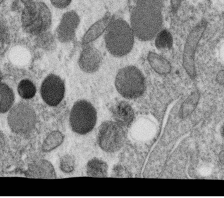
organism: C. elegans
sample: C. elegans oocyte; sperm cells